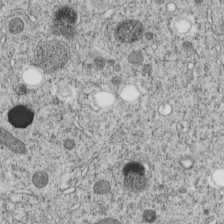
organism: C. elegans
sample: C. elegans embryo early stage